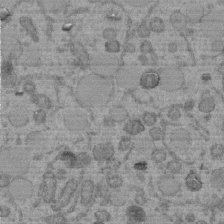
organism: C. elegans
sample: C. elegans embryo early stage